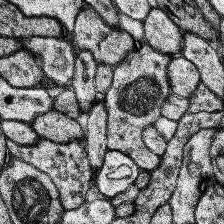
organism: Human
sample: Temporal Lobe